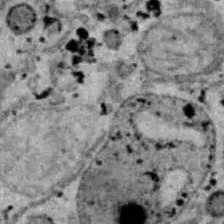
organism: Mouse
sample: Liver from an obese (ob/ob) mouse